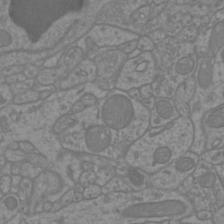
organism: Mouse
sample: Cortical neurons